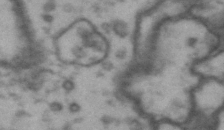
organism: Drosophila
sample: Brain